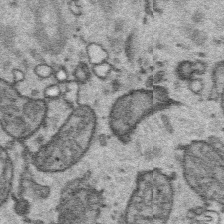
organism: Platynereis dumerilii